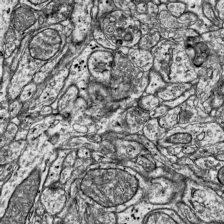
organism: Mouse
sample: Visual Cortex